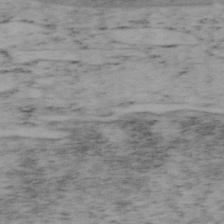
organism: Mouse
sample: OT-I killer T cells with ID8 ovarian cancer cells